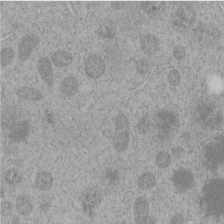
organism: C. elegans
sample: C. elegans embryo early stage